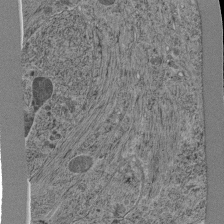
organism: C. elegans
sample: C. elegans pharynx